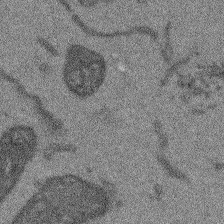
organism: Arabidopsis thaliana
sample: Root tip